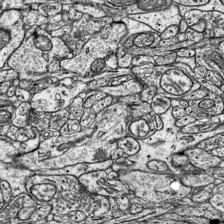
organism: Mouse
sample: Visual Cortex